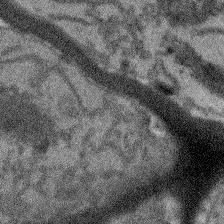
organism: Arabidopsis thaliana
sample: Root tip